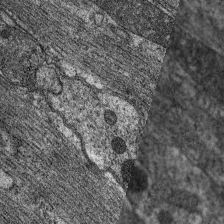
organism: C. elegans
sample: Pharynx